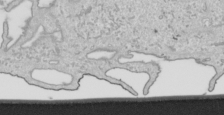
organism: Human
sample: Mitochondria in HCT116 cells